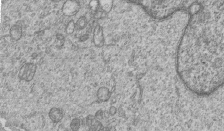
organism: Human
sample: MDA-MB-231 cells